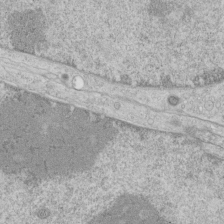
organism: Human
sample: Mitochondria in HCT116 cells